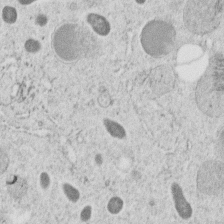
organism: C. elegans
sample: C. elegans embryo early stage